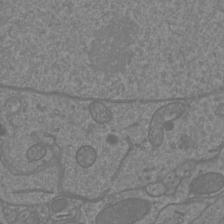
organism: Mouse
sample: Cortical neurons